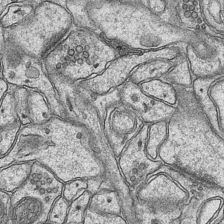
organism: Mouse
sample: CA1 Hippocampus